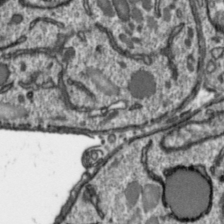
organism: Toxoplasma gondii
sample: Parasites in a vacuole inside a host cell